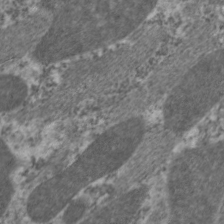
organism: C. elegans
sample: Pharynx